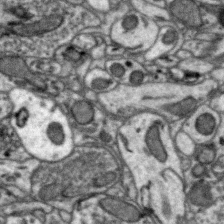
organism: Zebra finch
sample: Brain